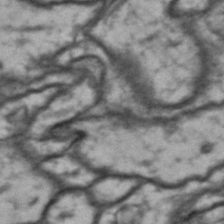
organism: Drosophila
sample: Brain